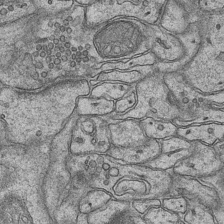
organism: Mouse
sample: CA1 Hippocampus